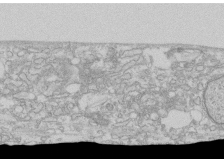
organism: Human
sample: CRL-1474